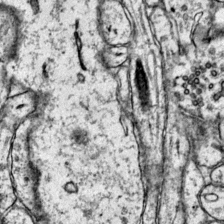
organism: Mouse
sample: Primary visual cortex